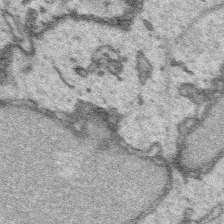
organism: Platynereis dumerilii